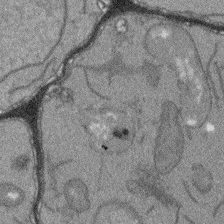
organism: Arabidopsis thaliana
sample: Root tip